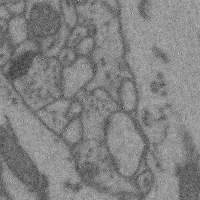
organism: Mouse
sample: Cerebral cortex